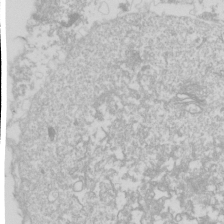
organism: Drosophila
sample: Cell division; meiosis; drosophila spermatocytes